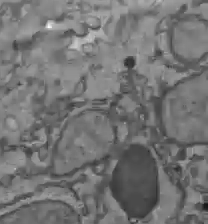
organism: C57BL Mouse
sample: Liver